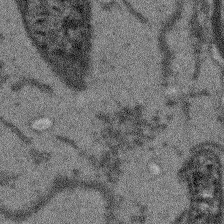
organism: Arabidopsis thaliana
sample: Root tip